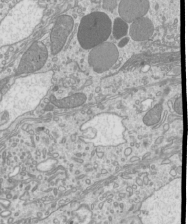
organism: Mouse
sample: Cilia; mouse epididymis